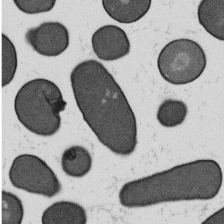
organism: B. subtilis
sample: Bacterial spore